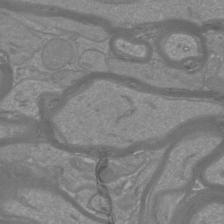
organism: Mouse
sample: Cortical neurons